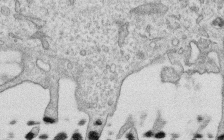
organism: Human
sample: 1205lu cells